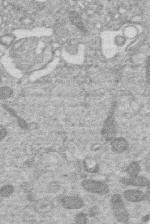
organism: Human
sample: Macrophage cells